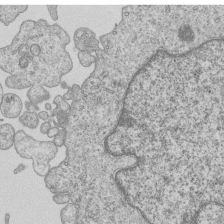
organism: Human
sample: MDA-MB-231 cells